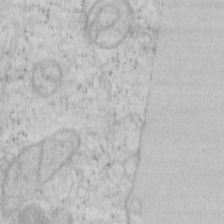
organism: Human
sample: HeLa cells